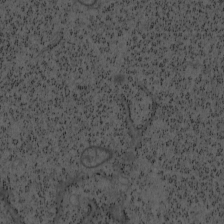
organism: Mouse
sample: OT-I killer T cells with ID8 ovarian cancer cells